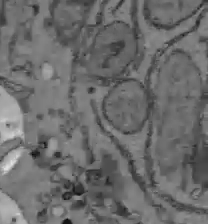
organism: C57BL Mouse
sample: Liver